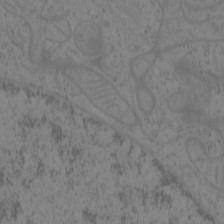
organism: Human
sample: HeLa cells